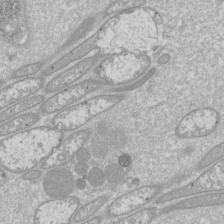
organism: Drosophila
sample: Cell division; meiosis; drosophila spermatocytes